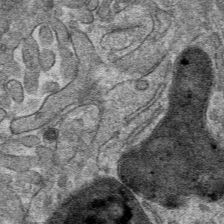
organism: Mouse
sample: Mouse hepatocytes